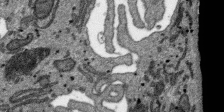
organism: Human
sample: Lung epithelial cells, uninfected (mock) control